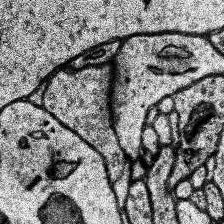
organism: Human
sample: Temporal Lobe